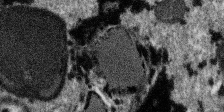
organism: Human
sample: Lung epithelial cells infected with SARS-CoV-2